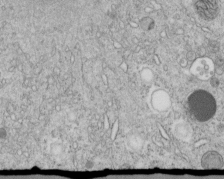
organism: C. elegans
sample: C. elegans embryo early stage